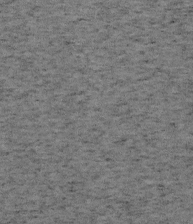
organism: Mouse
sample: OT-I killer T cells with ID8 ovarian cancer cells